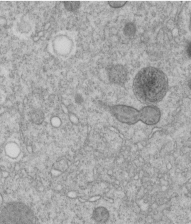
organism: C. elegans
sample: C. elegans embryo early stage